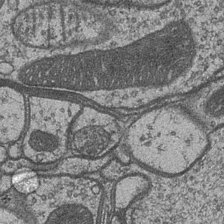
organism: Drosophila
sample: Optic medulla